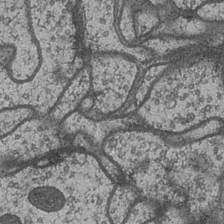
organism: Drosophila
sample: Optic medulla